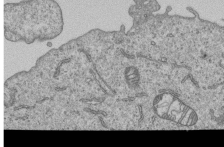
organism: Human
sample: MDA-MB-231 cells